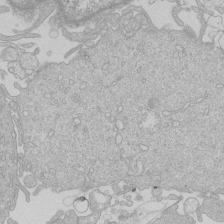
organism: Human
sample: Macrophage cells